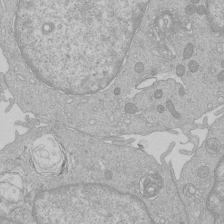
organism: Human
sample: Macrophage cells